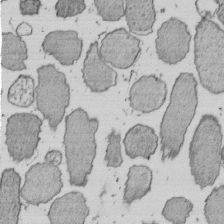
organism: E. coli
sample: Bacterial nucleoid